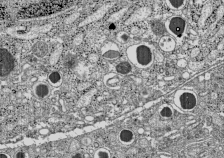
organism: C57BL Mouse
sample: Pancreatic islet